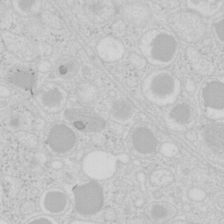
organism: Mouse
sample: Pancreas